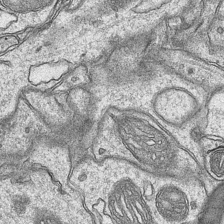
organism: Mouse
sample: CA1 Hippocampus